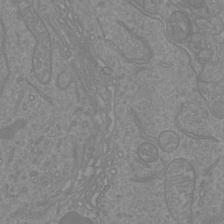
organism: Mouse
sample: Cortical neurons